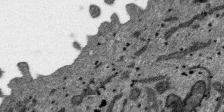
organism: Human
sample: Lung epithelial cells, uninfected (mock) control